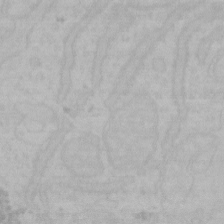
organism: Mouse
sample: Choroid plexus